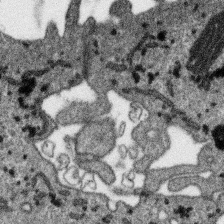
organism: Human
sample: Lung epithelial cells infected with SARS-CoV-2